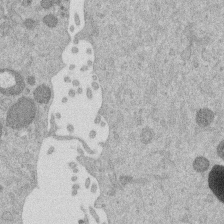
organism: Mouse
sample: Dividing mouse embryo 1 cell stage